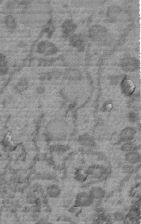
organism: C. elegans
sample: C. elegans embryo early stage